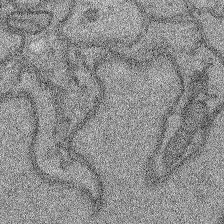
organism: Human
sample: HeLa cells